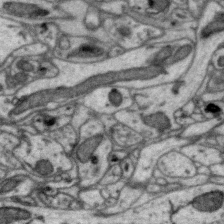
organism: Zebra finch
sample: Brain